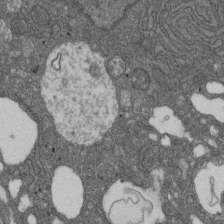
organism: Drosophila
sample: Nephrocyte